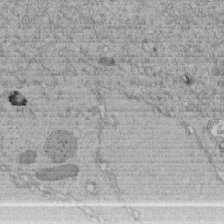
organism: C. elegans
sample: C. elegans embryo early stage